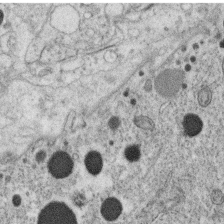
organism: C. elegans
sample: C. elegans oocyte; sperm cells